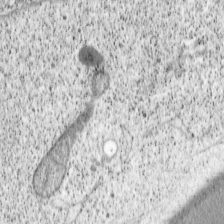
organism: African green monkey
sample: COS-7 cells